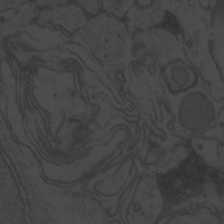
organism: Zebrafish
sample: Macrophage infected with Toxoplasma gondii